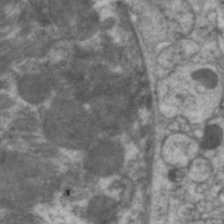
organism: C. elegans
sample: Pharynx